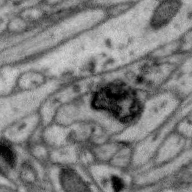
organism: Zebra finch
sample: Brain